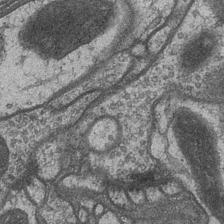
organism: Drosophila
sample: Optic medulla